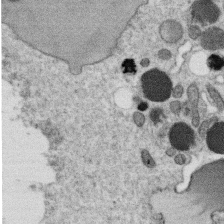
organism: C. elegans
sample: C. elegans oocyte; sperm cells